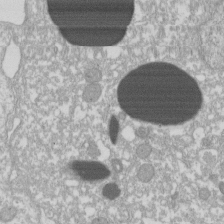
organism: Xenopus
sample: Cilia; centrioles in frog embryo cells